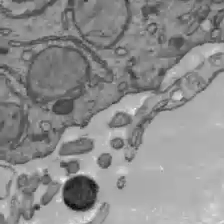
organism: C57BL Mouse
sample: Liver